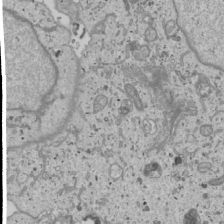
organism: Human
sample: Mitochondria in U2OS cells